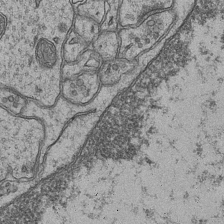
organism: Mouse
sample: CA1 Hippocampus